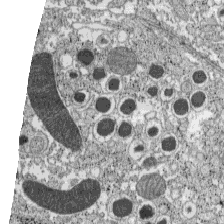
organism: C57BL Mouse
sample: Pancreatic islet